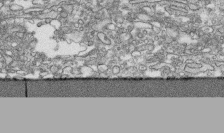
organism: Human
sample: CRL-1474